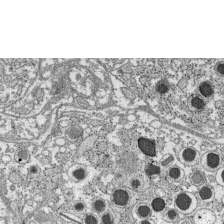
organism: C57BL Mouse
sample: Pancreatic islet